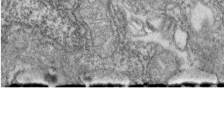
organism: Zebrafish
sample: Cilia; retinal pigment epithelium